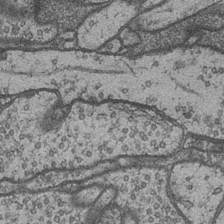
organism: Drosophila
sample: Optic medulla